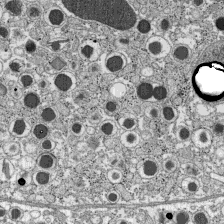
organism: C57BL Mouse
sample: Pancreatic islet